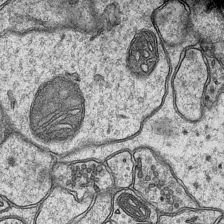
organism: Mouse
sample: CA1 Hippocampus